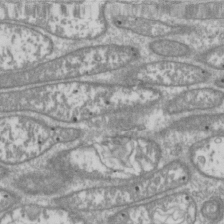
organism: Drosophila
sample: Cell division; meiosis; drosophila spermatocytes